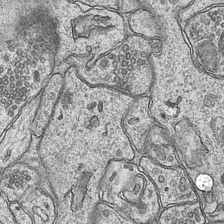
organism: Mouse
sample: CA1 Hippocampus